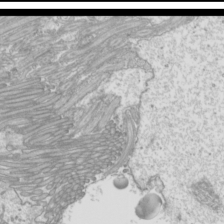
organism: Mouse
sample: Cilia; mouse epididymis